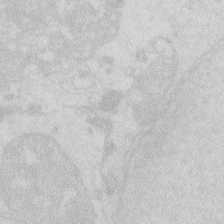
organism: Zebrafish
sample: Macrophage